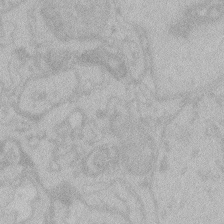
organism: Zebrafish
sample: Macrophage infected with Toxoplasma gondii